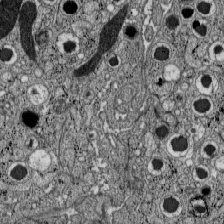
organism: C57BL Mouse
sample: Pancreatic islet